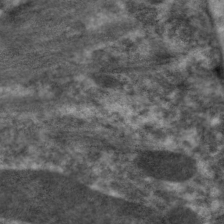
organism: C. elegans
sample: Pharynx